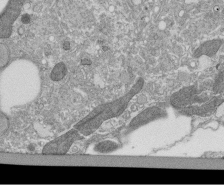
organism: Tetrahymena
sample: Cilia in tetrahymena